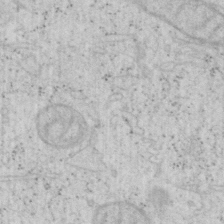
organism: Human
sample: HeLa cells